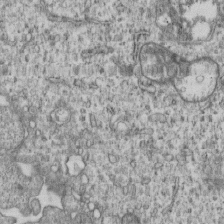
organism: Human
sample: MDA-MB-231 cells